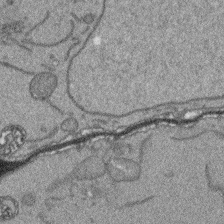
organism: Arabidopsis thaliana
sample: Root tip